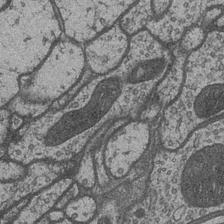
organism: Drosophila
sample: Optic medulla